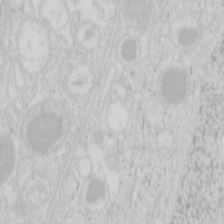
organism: Mouse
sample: Pancreas